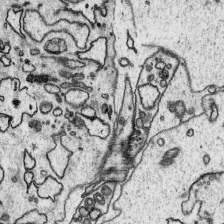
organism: Platynereis dumerilii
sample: Parapodia